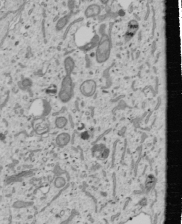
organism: Human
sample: Mitochondria in U2OS cells